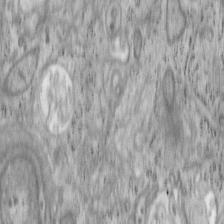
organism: Human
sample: HeLa cells